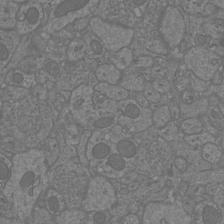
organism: Mouse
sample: Cortical neurons